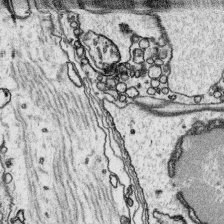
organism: Platynereis dumerilii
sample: Parapodia